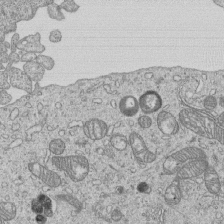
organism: Human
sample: MDA-MB-231 cells